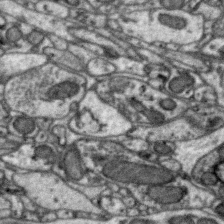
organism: Zebra finch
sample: Brain